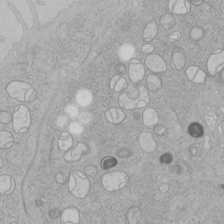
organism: Human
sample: Mitochondria in HCT116 cells